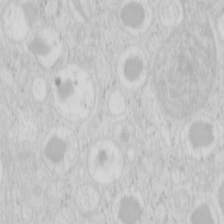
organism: Mouse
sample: Pancreas